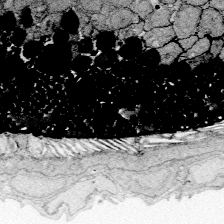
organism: Zebrafish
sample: Whole-Brain